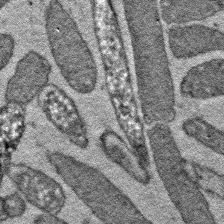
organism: E. coli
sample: E. Coli Bacteria